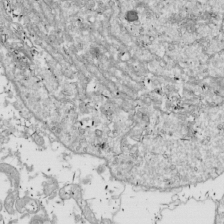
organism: Drosophila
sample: Cell division; meiosis; drosophila spermatocytes